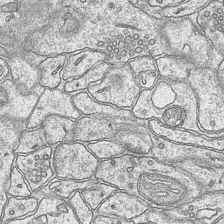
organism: Mouse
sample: CA1 Hippocampus